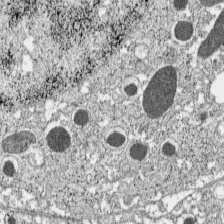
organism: C57BL Mouse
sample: Pancreatic islet